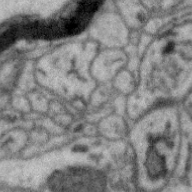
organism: Zebra finch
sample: Brain